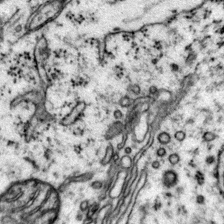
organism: Mouse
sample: Primary visual cortex